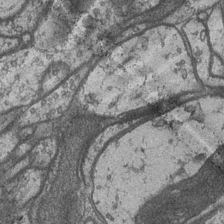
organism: Drosophila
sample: Optic medulla